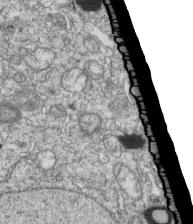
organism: Human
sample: HeLa cell HIV synapse